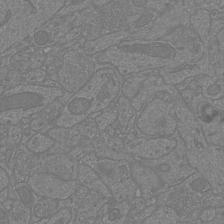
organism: Mouse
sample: Cortical neurons